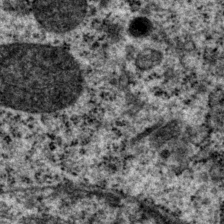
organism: P. pacificus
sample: Pharynx